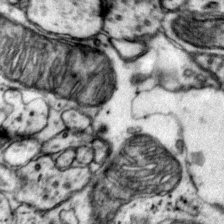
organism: Mouse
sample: Primary visual cortex